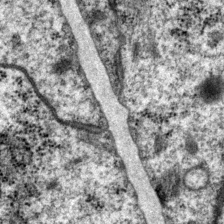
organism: P. pacificus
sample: Pharynx